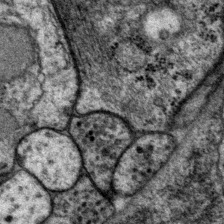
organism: P. pacificus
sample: Pharynx